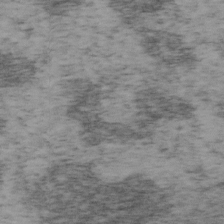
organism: Mouse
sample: OT-I killer T cells with ID8 ovarian cancer cells